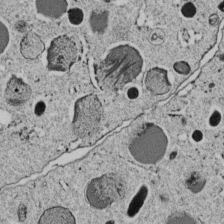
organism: C. elegans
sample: C. elegans embryo early stage